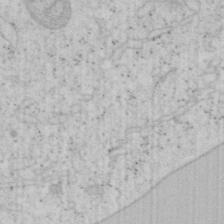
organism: Human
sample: HeLa cells